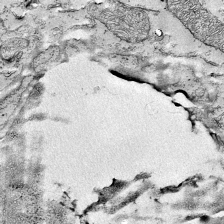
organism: Mouse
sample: Visual Cortex